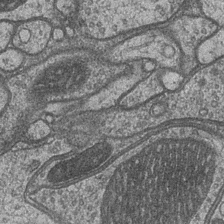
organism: Drosophila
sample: Optic medulla